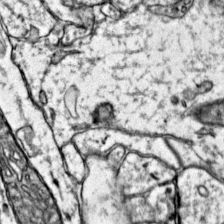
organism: Mouse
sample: Primary visual cortex